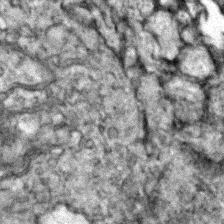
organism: Zebrafish